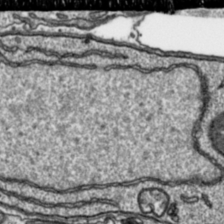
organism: Toxoplasma gondii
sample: Parasites in a vacuole inside a host cell